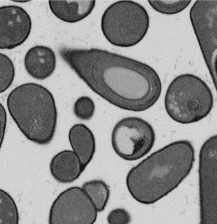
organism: B. subtilis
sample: Bacterial spore